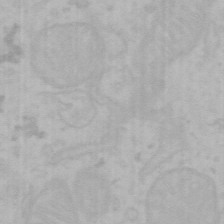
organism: Mouse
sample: Choroid plexus